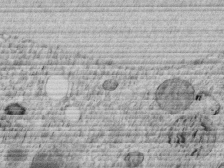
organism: C. elegans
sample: C. elegans embryo early stage